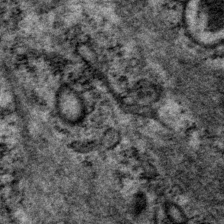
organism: P. pacificus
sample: Pharynx